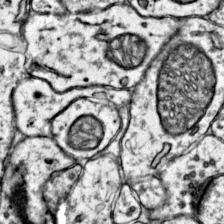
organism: Mouse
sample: Primary visual cortex